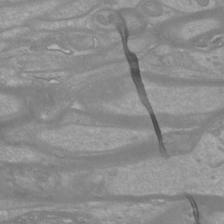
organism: Mouse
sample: Cortical neurons